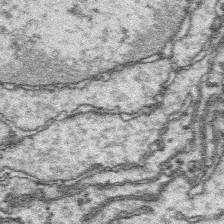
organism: Platynereis dumerilii